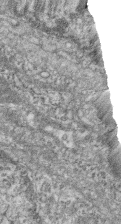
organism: Zebrafish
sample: Cilia; retinal pigment epithelium